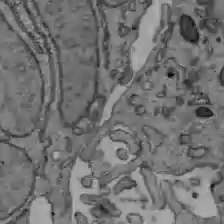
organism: C57BL Mouse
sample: Liver